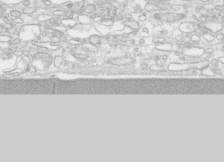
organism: Human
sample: CRL-1474